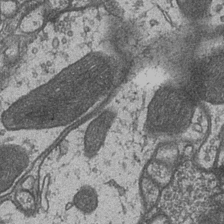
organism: Drosophila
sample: Optic medulla